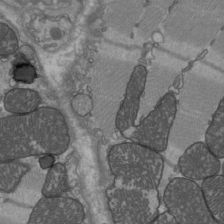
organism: C57BL Mouse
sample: Heart